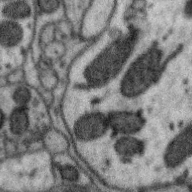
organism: Zebra finch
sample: Brain